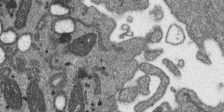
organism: Human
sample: Lung epithelial cells infected with SARS-CoV-2